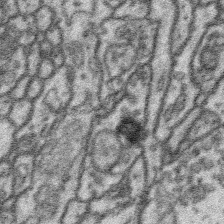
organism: Platynereis dumerilii